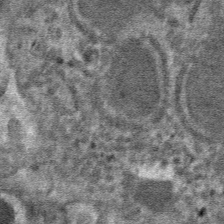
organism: Mouse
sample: Mouse hepatocytes